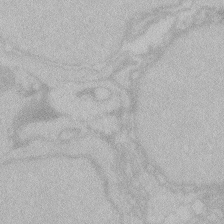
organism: Zebrafish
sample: Macrophage infected with Toxoplasma gondii